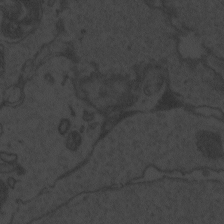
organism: Zebrafish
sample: Macrophage infected with Toxoplasma gondii